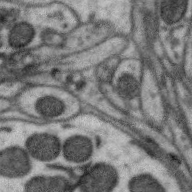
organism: Zebra finch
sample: Brain